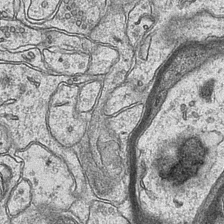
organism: Mouse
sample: CA1 Hippocampus